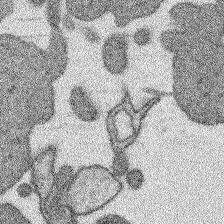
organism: Human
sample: HeLa cells